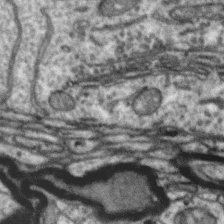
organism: Zebra finch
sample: Brain